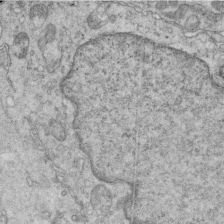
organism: Mouse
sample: Multiciliated cells